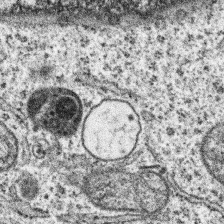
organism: Human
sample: HeLa cells